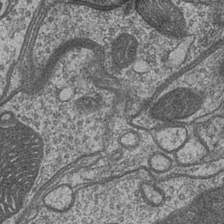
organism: Drosophila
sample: Optic medulla